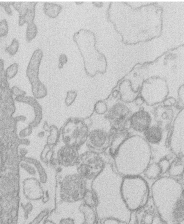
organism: Human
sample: Macrophage cells